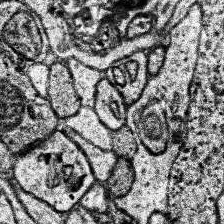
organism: Human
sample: Temporal Lobe